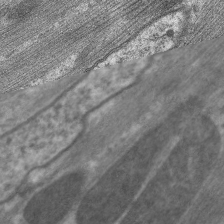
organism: C. elegans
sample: Pharynx